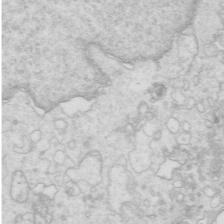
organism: Mouse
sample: Multiciliated cells